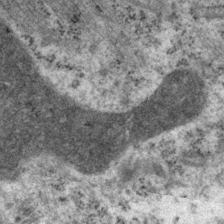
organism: P. pacificus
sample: Pharynx